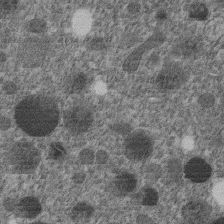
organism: C. elegans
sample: C. elegans embryo early stage